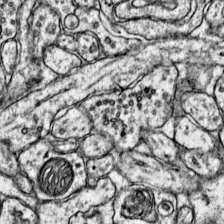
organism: Mouse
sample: Primary visual cortex